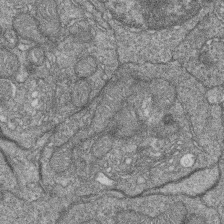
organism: Zebrafish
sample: Cilia; retinal pigment epithelium